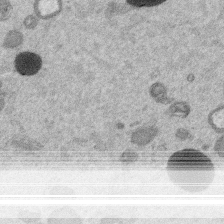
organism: Mouse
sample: Dividing mouse embryo 1 cell stage